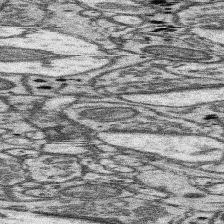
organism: Mouse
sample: Somatosensory cortex neuropil